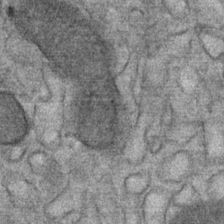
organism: Mouse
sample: Mouse Salivary gland